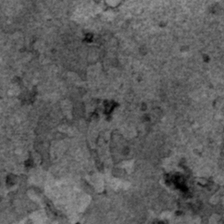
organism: Human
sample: Mitochondria in HCT116 cells